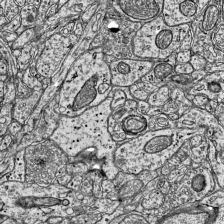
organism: Mouse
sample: Visual Cortex